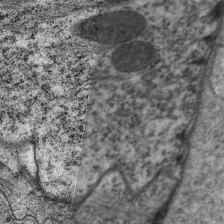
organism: C. elegans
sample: Pharynx